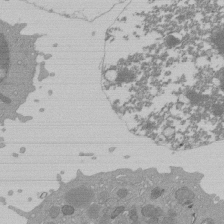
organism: Mouse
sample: Activated Pmel transgenic CD8+ T Cells